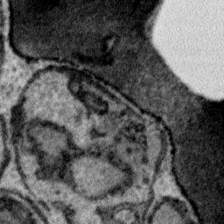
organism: Plasmodium falciparum